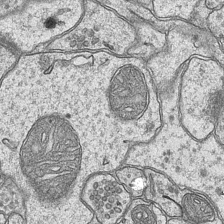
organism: Mouse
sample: CA1 Hippocampus